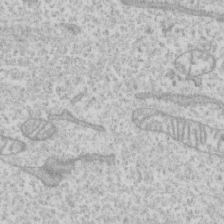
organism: Human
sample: CRL-1474